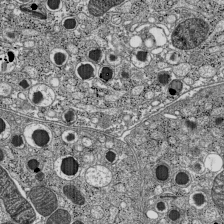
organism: C57BL Mouse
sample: Pancreatic islet